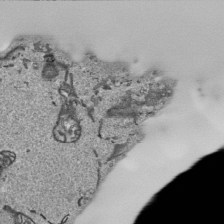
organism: Human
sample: Mitochondria in HCT116 cells